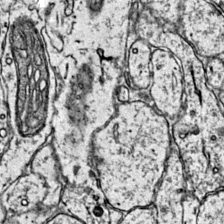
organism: Mouse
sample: Primary visual cortex